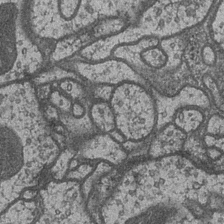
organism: Drosophila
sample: Optic medulla